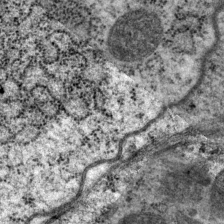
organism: P. pacificus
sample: Pharynx